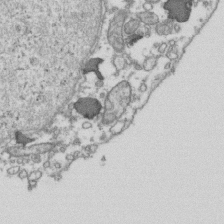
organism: Human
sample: Activated Jurkat CD4+ T cells